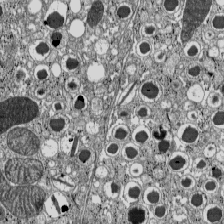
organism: C57BL Mouse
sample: Pancreatic islet